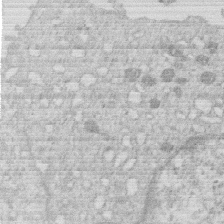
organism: Human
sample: Macrophage cells